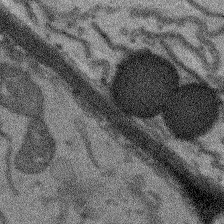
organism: Arabidopsis thaliana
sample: Root tip